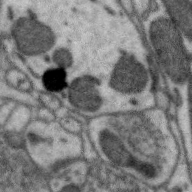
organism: Zebra finch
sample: Brain